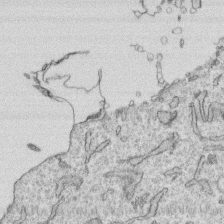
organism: Human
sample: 1205lu cells